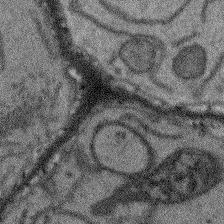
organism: Arabidopsis thaliana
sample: Root tip